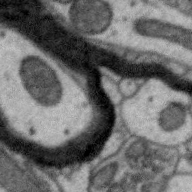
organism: Zebra finch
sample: Brain